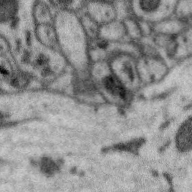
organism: Zebra finch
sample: Brain